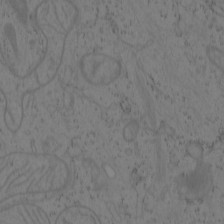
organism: Human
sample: HeLa cells